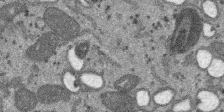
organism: Human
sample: Lung epithelial cells infected with SARS-CoV-2